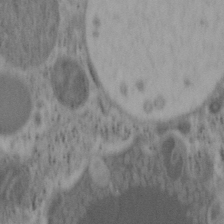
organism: Mouse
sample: OT-I killer T cells with ID8 ovarian cancer cells